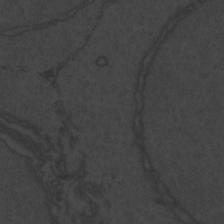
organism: Zebrafish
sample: Macrophage infected with Toxoplasma gondii